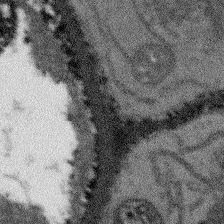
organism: Arabidopsis thaliana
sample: Root tip